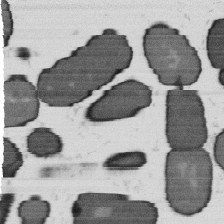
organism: B. subtilis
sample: Bacterial spore